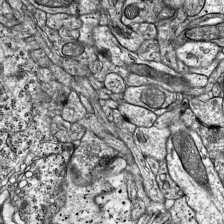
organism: Mouse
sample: Visual Cortex